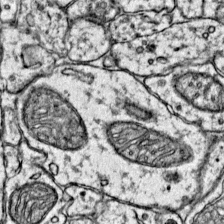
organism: Mouse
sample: Primary visual cortex